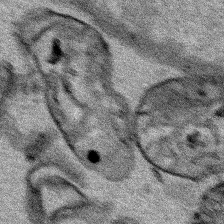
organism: Human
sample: Mitochondria in HCT116 cells